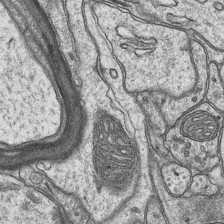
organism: Mouse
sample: CA1 Hippocampus